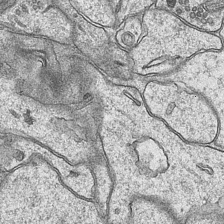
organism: Mouse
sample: CA1 Hippocampus